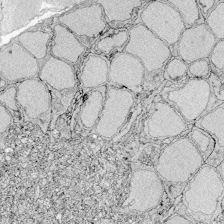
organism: Zebrafish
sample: Whole-Brain